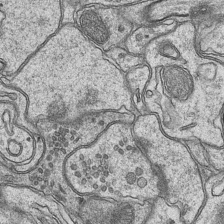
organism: Mouse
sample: CA1 Hippocampus